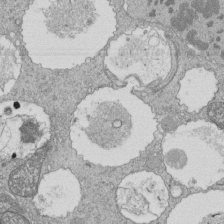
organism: Tetrahymena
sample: Cilia in tetrahymena